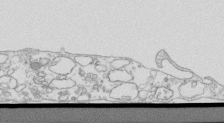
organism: Mouse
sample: Macrophages